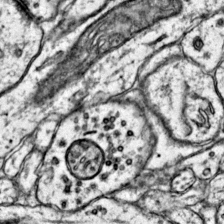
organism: Mouse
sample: Primary visual cortex